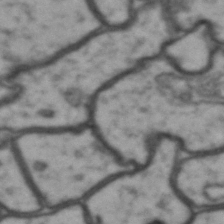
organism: Drosophila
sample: Brain